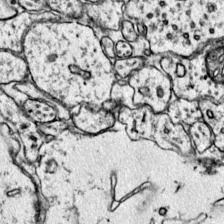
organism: Mouse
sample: Primary visual cortex